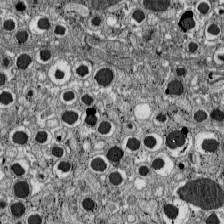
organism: C57BL Mouse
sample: Pancreatic islet